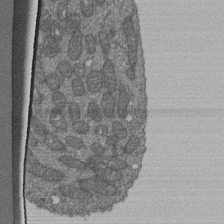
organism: Human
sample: Retinal organoid Rod and Cone cells